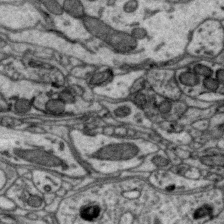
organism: Zebra finch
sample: Brain